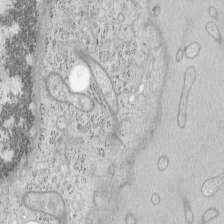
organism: Mouse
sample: OT-I killer T cells with ID8 ovarian cancer cells